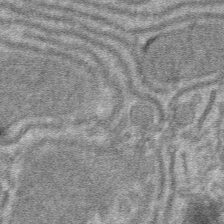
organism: Mouse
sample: Mouse hepatocytes